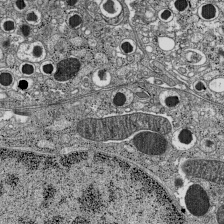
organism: C57BL Mouse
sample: Pancreatic islet